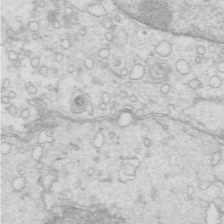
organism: Mouse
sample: Multiciliated cells